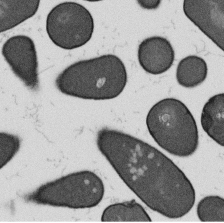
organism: B. subtilis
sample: Bacterial spore